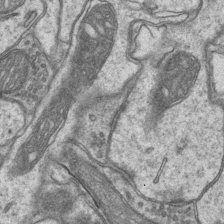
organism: Mouse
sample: CA1 Hippocampus